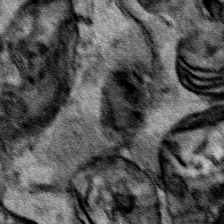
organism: Human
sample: Mitochondria in HCT116 cells